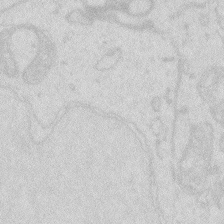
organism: Zebrafish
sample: Macrophage